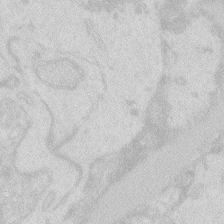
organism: Zebrafish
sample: Macrophage